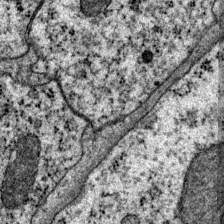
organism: P. pacificus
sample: Pharynx